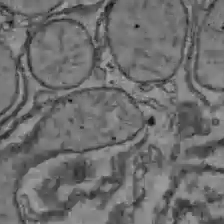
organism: C57BL Mouse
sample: Liver